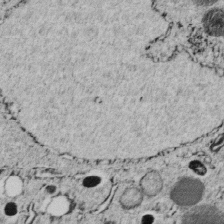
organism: C. elegans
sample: C. elegans embryo early stage